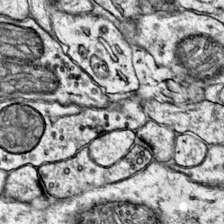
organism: Mouse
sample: Primary visual cortex